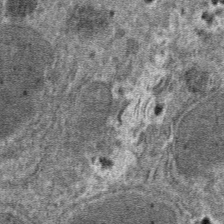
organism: Mouse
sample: Mouse hepatocytes